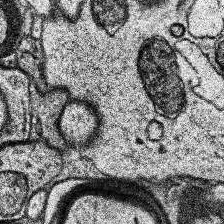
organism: Human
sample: Temporal Lobe